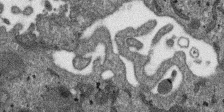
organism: Human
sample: Lung epithelial cells infected with SARS-CoV-2